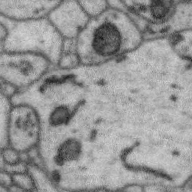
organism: Zebra finch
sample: Brain